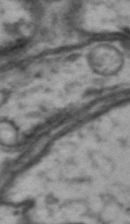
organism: Drosophila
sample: Brain